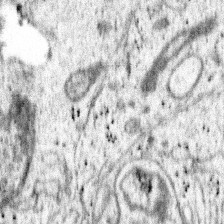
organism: Human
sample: HeLa cells